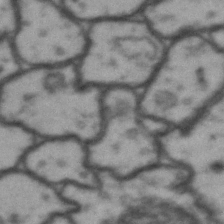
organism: Drosophila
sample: Brain